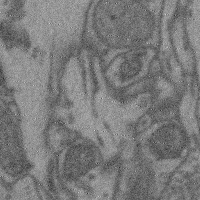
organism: Mouse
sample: Cerebral cortex